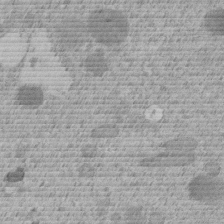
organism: C. elegans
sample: C. elegans embryo early stage